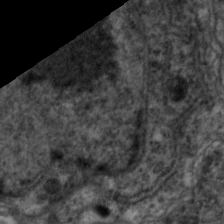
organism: C. elegans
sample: Pharynx